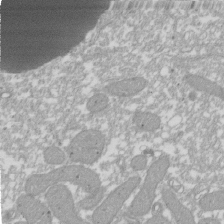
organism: Xenopus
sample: Cilia; centrioles in frog embryo cells